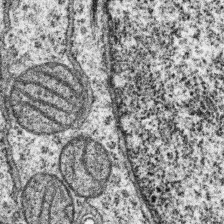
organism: Human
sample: HeLa cells